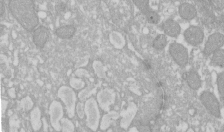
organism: Xenopus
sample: Cilia; centrioles in frog embryo cells